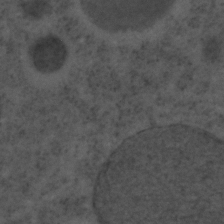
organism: C. elegans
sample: C. elegans embryo